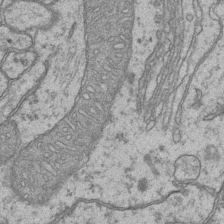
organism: Mouse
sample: CA1 Hippocampus